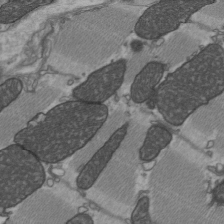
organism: C57BL Mouse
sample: Heart